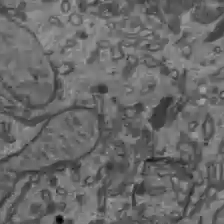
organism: C57BL Mouse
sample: Liver